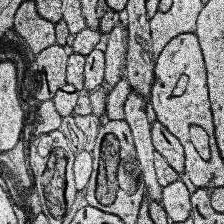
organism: Human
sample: Temporal Lobe